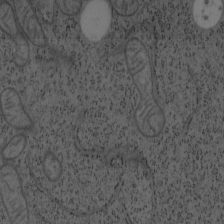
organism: Mouse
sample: OT-I killer T cells with ID8 ovarian cancer cells